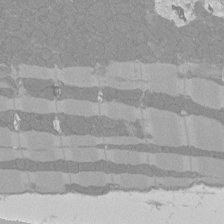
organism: Rat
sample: Left ventricle